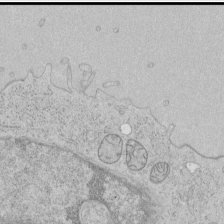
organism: Human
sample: Mitochondria in HCT116 cells